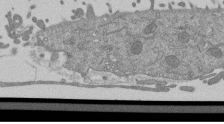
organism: Mouse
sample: ED-1 cell nuclei; centrioles